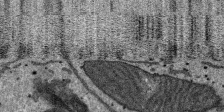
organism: Human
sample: Lung epithelial cells, uninfected (mock) control